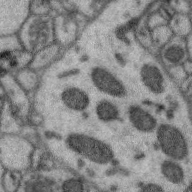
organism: Zebra finch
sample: Brain